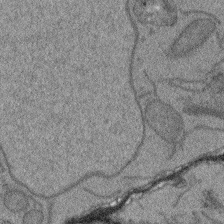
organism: Arabidopsis thaliana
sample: Root tip